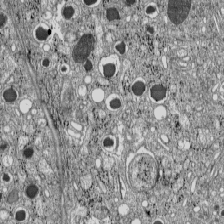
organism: C57BL Mouse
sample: Pancreatic islet